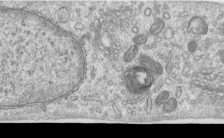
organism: Human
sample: Centriole in RPE cells